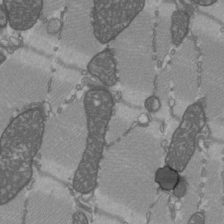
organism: C57BL Mouse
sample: Heart